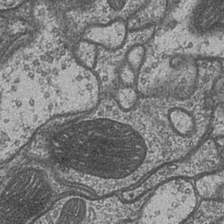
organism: Drosophila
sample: Optic medulla